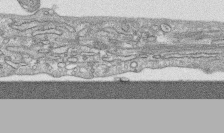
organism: Human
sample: CRL-1474